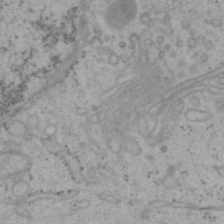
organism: Human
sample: HeLa cells